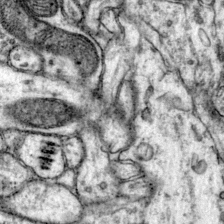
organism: Mouse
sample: Primary visual cortex